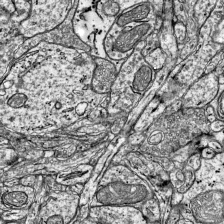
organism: Mouse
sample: Visual Cortex